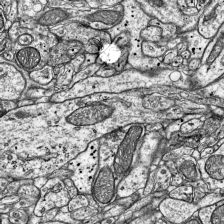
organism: Mouse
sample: Visual Cortex